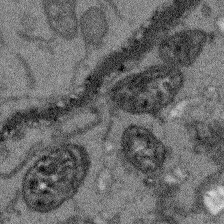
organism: Arabidopsis thaliana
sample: Root tip